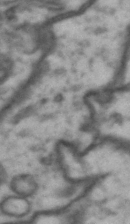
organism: Drosophila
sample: Brain